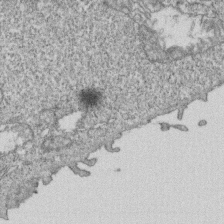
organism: Human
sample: HeLa cell HIV synapse